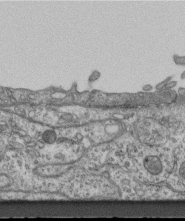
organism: Mouse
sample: Centriole in ependymal cells